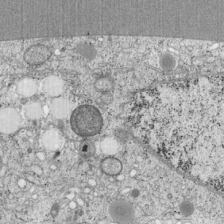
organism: African green monkey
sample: COS-7 cells